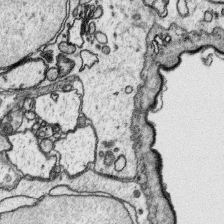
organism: Platynereis dumerilii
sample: Parapodia